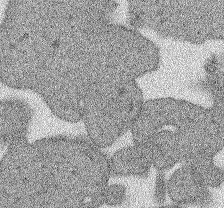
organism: Human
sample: HeLa cells